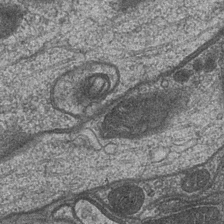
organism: Drosophila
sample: Optic medulla